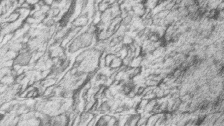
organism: Zebrafish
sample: synaptic ribbons in rod cells and cone cells